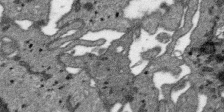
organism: Human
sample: Lung epithelial cells, uninfected (mock) control